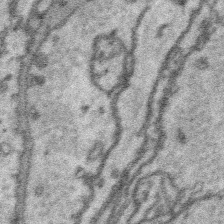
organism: Platynereis dumerilii